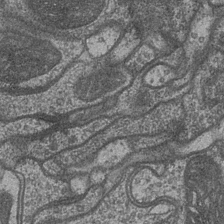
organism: Drosophila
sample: Optic medulla